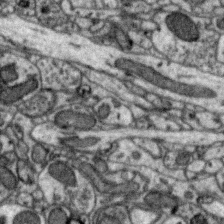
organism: Zebra finch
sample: Brain